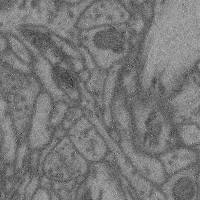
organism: Mouse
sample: Cerebral cortex